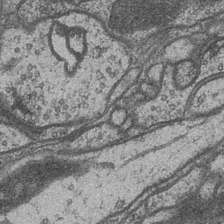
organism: Drosophila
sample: Optic medulla